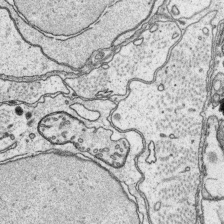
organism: Platynereis dumerilii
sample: Parapodia